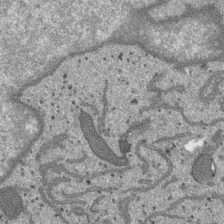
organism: Human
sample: Lung epithelial cells infected with SARS-CoV-2